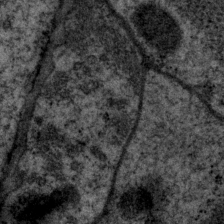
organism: P. pacificus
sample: Pharynx